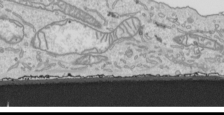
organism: Human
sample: Mitochondria in HCT116 cells